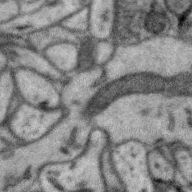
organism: Zebra finch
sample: Brain